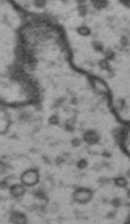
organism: Drosophila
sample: Brain